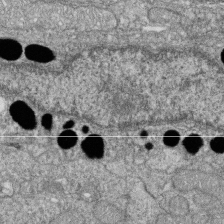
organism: Zebrafish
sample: Cilia; retinal pigment epithelium